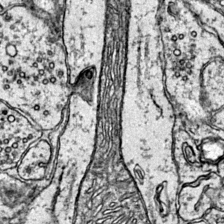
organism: Mouse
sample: Primary visual cortex